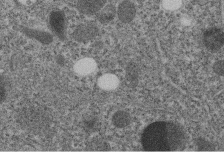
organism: C. elegans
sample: C. elegans embryo early stage